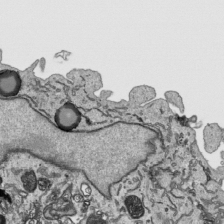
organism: Human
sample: Mitochondria in HCT116 cells